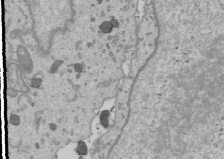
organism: Human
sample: Mitochondria in U2OS cells